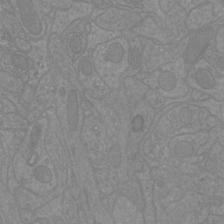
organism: Mouse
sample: Cortical neurons